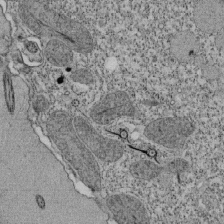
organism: Tetrahymena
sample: Cilia in tetrahymena